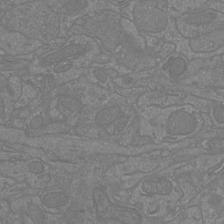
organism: Mouse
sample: Cortical neurons